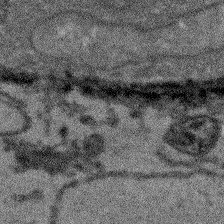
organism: Arabidopsis thaliana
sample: Root tip